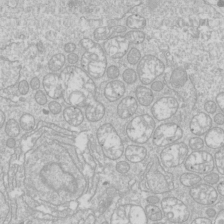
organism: Drosophila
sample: Cell division; meiosis; drosophila spermatocytes